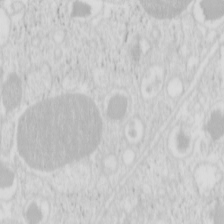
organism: Mouse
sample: Pancreas